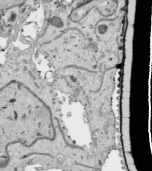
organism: Human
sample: Mitochondria in HCT116 cells